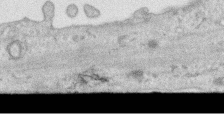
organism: Human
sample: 1205lu cells